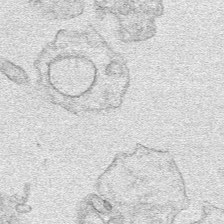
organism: Human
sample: Mitochondria in HCT116 cells